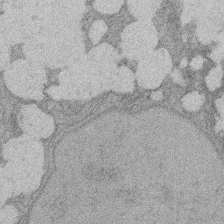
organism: Rat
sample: Salivary granule